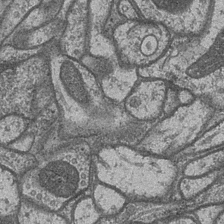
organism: Drosophila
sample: Optic medulla